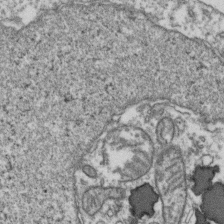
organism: Human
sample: Activated Jurkat CD4+ T cells